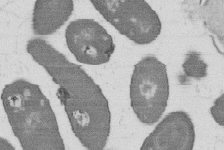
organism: B. subtilis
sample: Bacterial spore